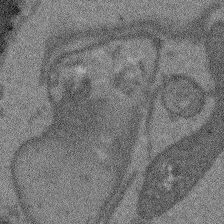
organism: Arabidopsis thaliana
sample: Root tip